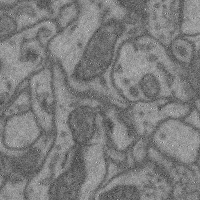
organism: Mouse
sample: Cerebral cortex